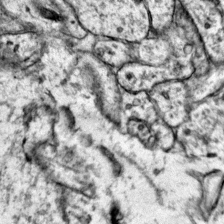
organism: Mouse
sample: Primary visual cortex